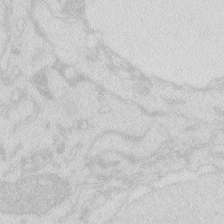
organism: Zebrafish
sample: Macrophage